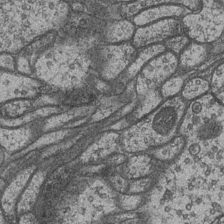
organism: Drosophila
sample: Optic medulla